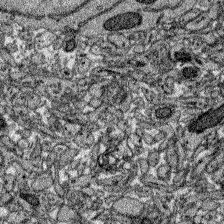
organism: Zebrafish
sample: Larval olfactory bulb